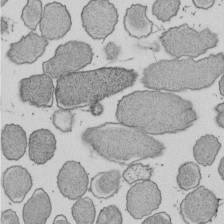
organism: E. coli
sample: Bacterial nucleoid